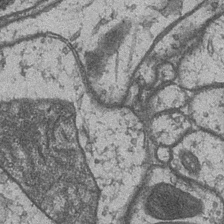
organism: Drosophila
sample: Optic medulla